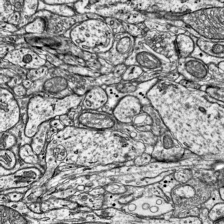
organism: Mouse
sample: Visual Cortex